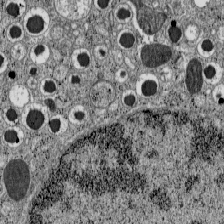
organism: C57BL Mouse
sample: Pancreatic islet